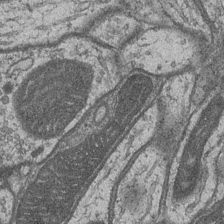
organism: Drosophila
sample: Optic medulla